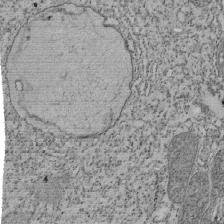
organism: Tetrahymena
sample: Cilia in tetrahymena